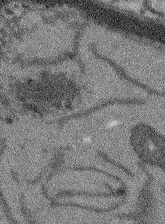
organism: Arabidopsis thaliana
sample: Root tip